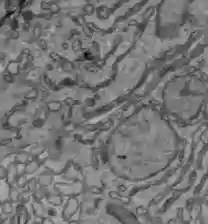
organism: C57BL Mouse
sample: Liver